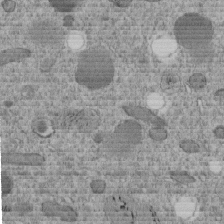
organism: C. elegans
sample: C. elegans embryo early stage